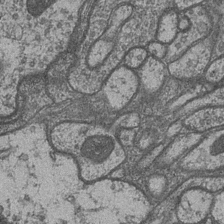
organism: Drosophila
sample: Optic medulla